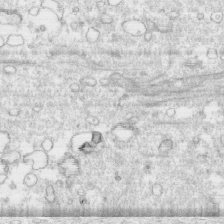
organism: Human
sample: CRL-1474